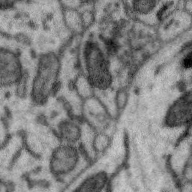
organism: Zebra finch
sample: Brain